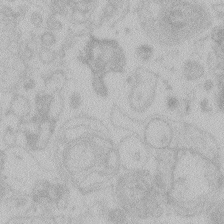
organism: Zebrafish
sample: Macrophage infected with Toxoplasma gondii